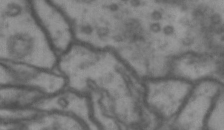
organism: Drosophila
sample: Brain